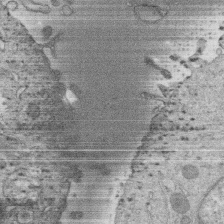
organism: Human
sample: Macrophage cells